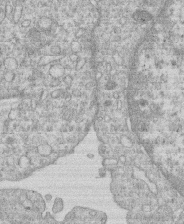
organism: Human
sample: Macrophage cells